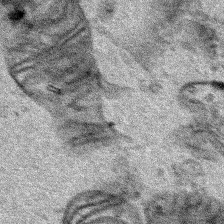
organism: Human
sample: Mitochondria in HCT116 cells